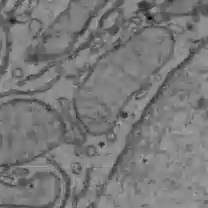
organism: C57BL Mouse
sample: Liver